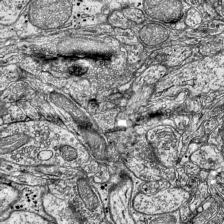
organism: Mouse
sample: Visual Cortex